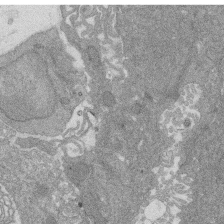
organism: Rat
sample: Salivary granule